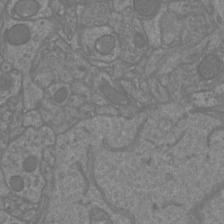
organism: Mouse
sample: Cortical neurons